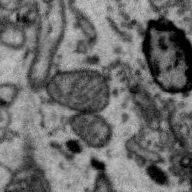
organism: Zebra finch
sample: Brain